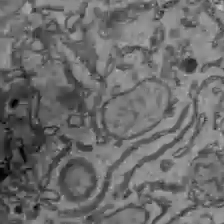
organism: C57BL Mouse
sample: Liver